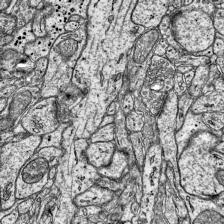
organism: Mouse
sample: Visual Cortex